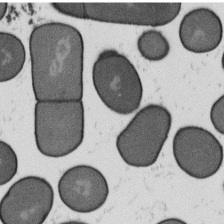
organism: B. subtilis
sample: Bacterial spore